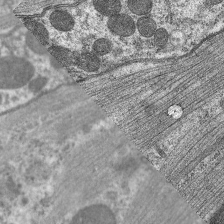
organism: C. elegans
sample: Pharynx